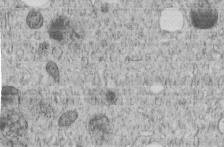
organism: C. elegans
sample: C. elegans embryo early stage